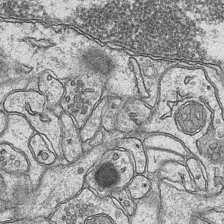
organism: Mouse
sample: CA1 Hippocampus